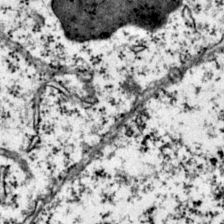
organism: Mouse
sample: Primary visual cortex